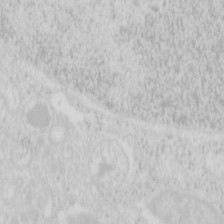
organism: Mouse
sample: Pancreas